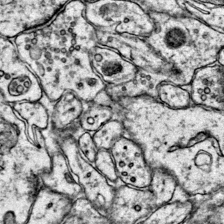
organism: Mouse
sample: Primary visual cortex